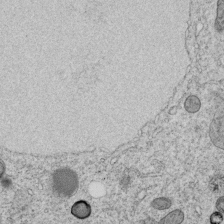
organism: C. elegans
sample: C. elegans embryo early stage